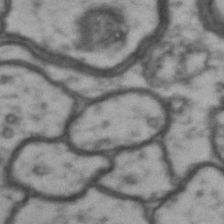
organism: Drosophila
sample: Brain